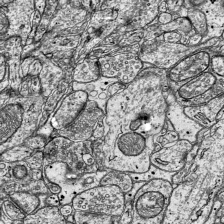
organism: Mouse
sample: Visual Cortex